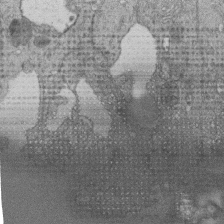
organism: Human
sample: Retinal organoid Rod and Cone cells